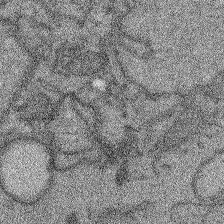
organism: Human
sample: HeLa cells